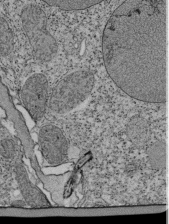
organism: Tetrahymena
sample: Cilia in tetrahymena